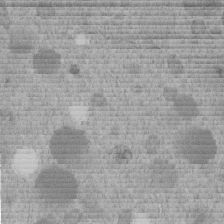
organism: C. elegans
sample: C. elegans embryo early stage